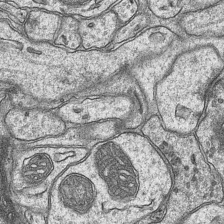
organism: Mouse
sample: CA1 Hippocampus